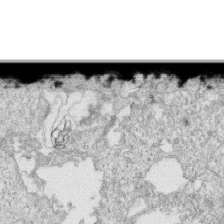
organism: Human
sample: HeLa cell HIV synapse